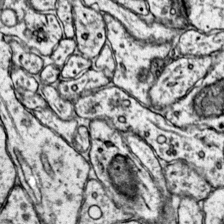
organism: Mouse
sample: Primary visual cortex